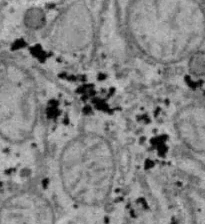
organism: Mouse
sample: Liver from an obese (ob/ob) mouse